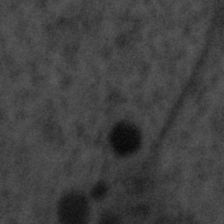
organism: Tuwongella immobilis